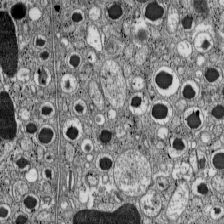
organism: C57BL Mouse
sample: Pancreatic islet